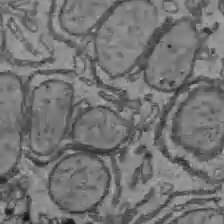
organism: C57BL Mouse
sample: Liver